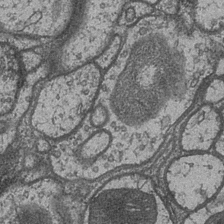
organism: Drosophila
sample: Optic medulla